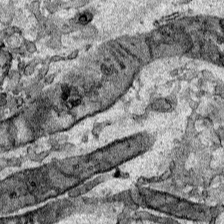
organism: Human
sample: Mitochondria in HCT116 cells